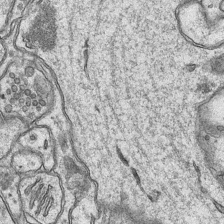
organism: Mouse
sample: CA1 Hippocampus